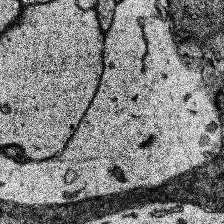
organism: Human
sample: Temporal Lobe